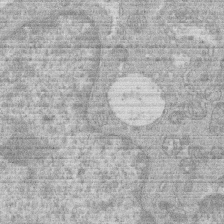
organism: Human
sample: Macrophage cells